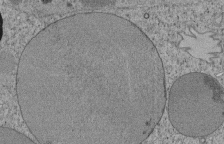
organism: Tetrahymena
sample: Cilia in tetrahymena